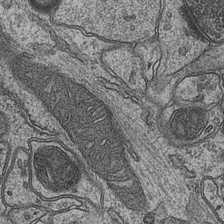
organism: Mouse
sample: CA1 Hippocampus